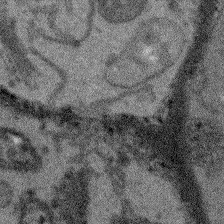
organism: Arabidopsis thaliana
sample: Root tip